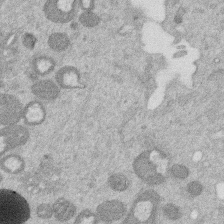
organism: Mouse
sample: Dividing mouse embryo 1 cell stage